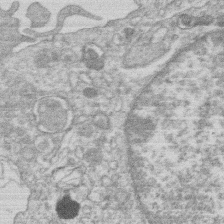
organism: Human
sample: Macrophage cells